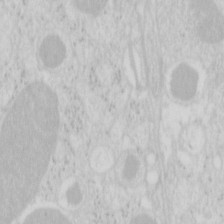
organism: Mouse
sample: Pancreas